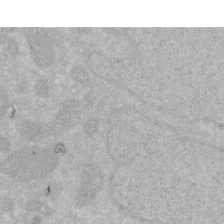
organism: Human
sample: HIV infected U937 cells